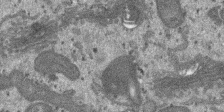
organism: Human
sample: Lung epithelial cells infected with SARS-CoV-2